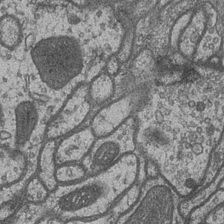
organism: Drosophila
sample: Optic medulla